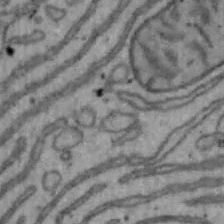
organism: Mouse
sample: Liver